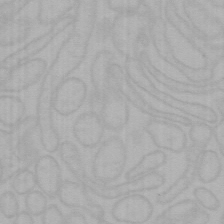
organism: Mouse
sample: Choroid plexus